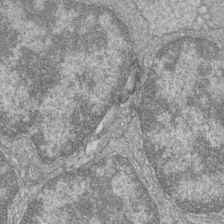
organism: Zebrafish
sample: Cilia; retinal pigment epithelium